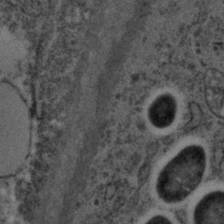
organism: C. elegans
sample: C. elegans embryo